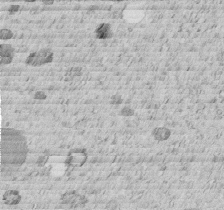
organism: C. elegans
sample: C. elegans embryo early stage